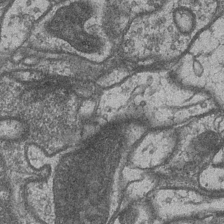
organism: Drosophila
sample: Optic medulla